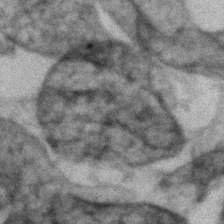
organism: Zebrafish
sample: Zebrafish embryo